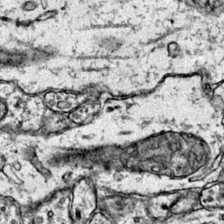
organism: Mouse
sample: Primary visual cortex